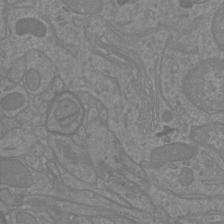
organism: Mouse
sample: Cortical neurons